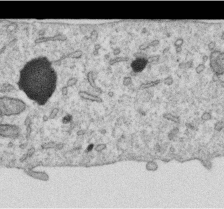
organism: Human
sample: Centriole in RPE cells